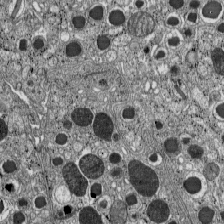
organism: C57BL Mouse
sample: Pancreatic islet